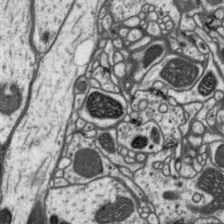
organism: Drosophila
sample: Protocerebral bridge